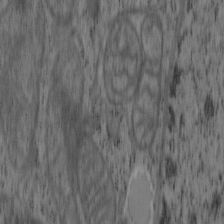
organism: Human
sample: HeLa cells